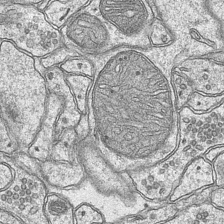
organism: Mouse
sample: CA1 Hippocampus